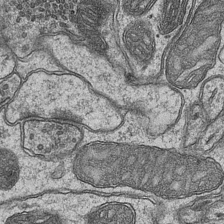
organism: Mouse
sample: CA1 Hippocampus